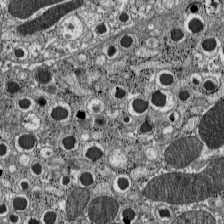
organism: C57BL Mouse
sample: Pancreatic islet